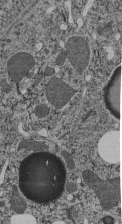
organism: C. elegans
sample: C. elegans pharynx